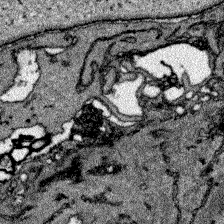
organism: Zebrafish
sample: Larval olfactory bulb